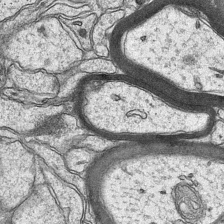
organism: Mouse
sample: CA1 Hippocampus